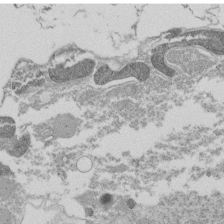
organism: Tetrahymena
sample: Cilia in tetrahymena